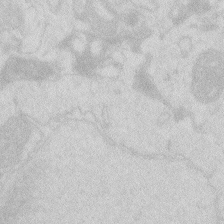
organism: Zebrafish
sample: Macrophage